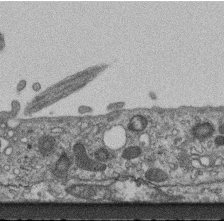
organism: Mouse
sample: Centriole in ependymal cells